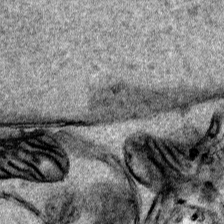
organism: Human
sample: Mitochondria in HCT116 cells